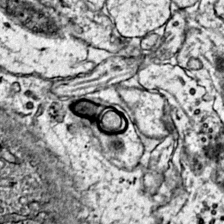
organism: Mouse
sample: Primary visual cortex